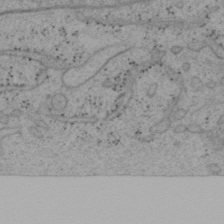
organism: Human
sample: HeLa cells